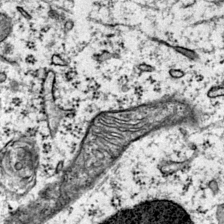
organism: Mouse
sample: Primary visual cortex